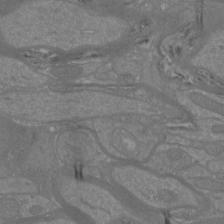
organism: Mouse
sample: Cortical neurons